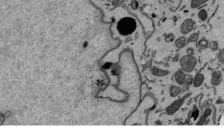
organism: Mouse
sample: ED-1 cell nuclei; centrioles